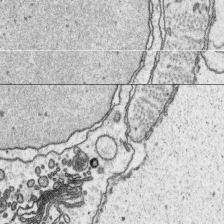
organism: Platynereis dumerilii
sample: Parapodia